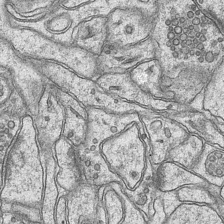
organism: Mouse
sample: CA1 Hippocampus